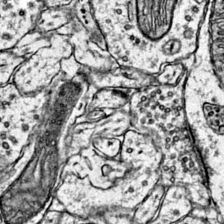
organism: Mouse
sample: Primary visual cortex